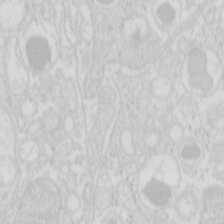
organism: Mouse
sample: Pancreas